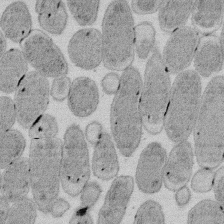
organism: E. coli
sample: Bacterial nucleoid